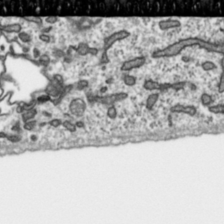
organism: Toxoplasma gondii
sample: Parasites in a vacuole inside a host cell